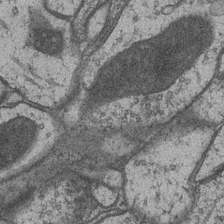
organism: Drosophila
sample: Optic medulla